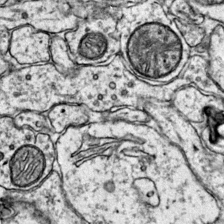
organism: Mouse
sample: Primary visual cortex